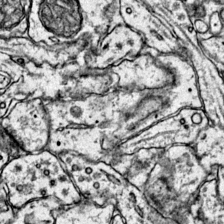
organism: Mouse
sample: Primary visual cortex